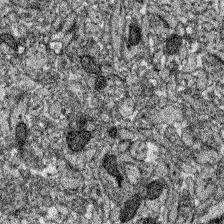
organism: Zebrafish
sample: Larval olfactory bulb